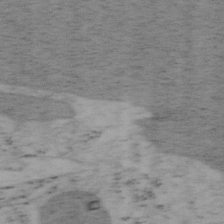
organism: Mouse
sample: OT-I killer T cells with ID8 ovarian cancer cells